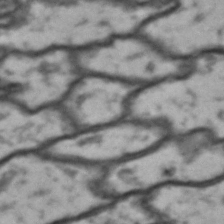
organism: Drosophila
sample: Brain